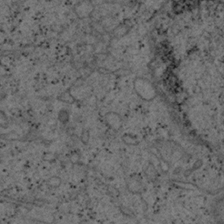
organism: Human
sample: HeLa cells